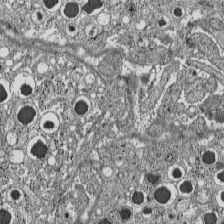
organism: C57BL Mouse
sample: Pancreatic islet